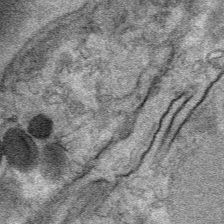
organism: Mouse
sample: Mouse Salivary gland